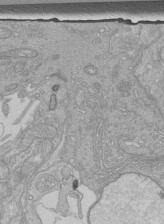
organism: Human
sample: Retinal organoid Rod and Cone cells